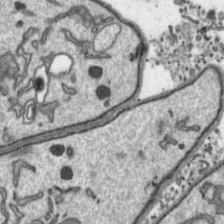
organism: Toxoplasma gondii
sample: Parasites in a vacuole inside a host cell